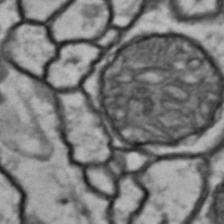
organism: Drosophila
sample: Brain